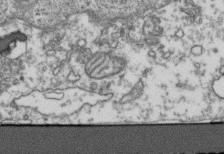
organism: Human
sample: Activated Jurkat CD4+ T cells